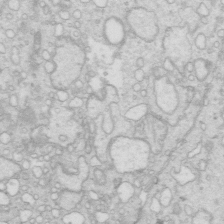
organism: Mouse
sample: Multiciliated cells